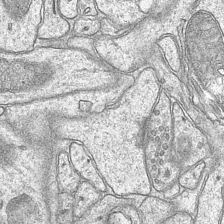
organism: Mouse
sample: CA1 Hippocampus